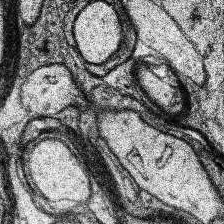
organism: Human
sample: Temporal Lobe